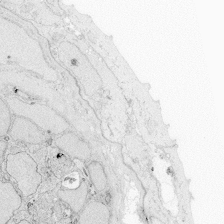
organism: Zebrafish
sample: Whole-Brain